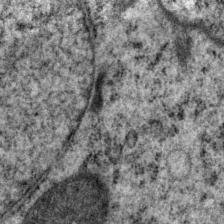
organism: P. pacificus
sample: Pharynx